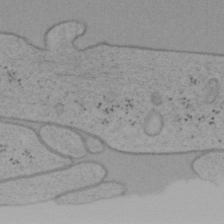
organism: Human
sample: HeLa cells